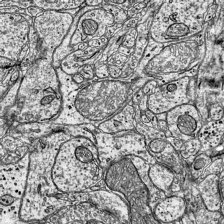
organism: Mouse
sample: Visual Cortex